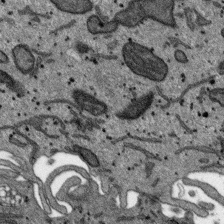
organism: Human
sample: Lung epithelial cells, uninfected (mock) control